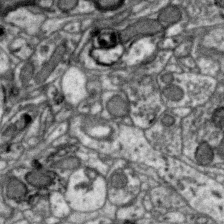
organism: Zebra finch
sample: Brain